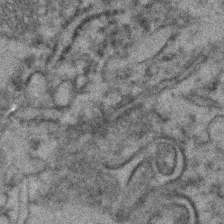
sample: Kidney